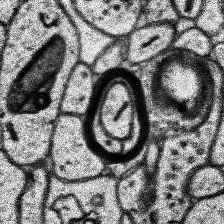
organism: Human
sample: Temporal Lobe